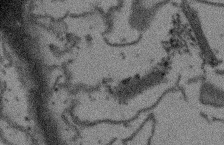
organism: Arabidopsis thaliana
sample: Root tip